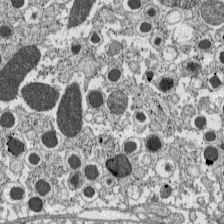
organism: C57BL Mouse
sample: Pancreatic islet